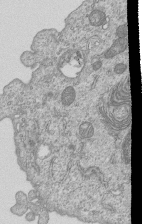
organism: Human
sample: MDA-MB-231 cells